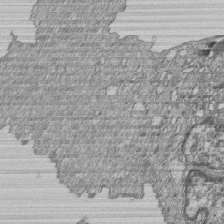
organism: Human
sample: MDA-MB-231 cells